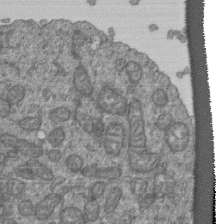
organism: Human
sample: Retinal organoid Rod and Cone cells